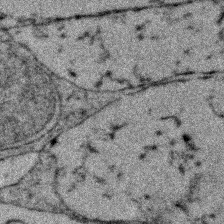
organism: Zebrafish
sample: Zebrafish embryo